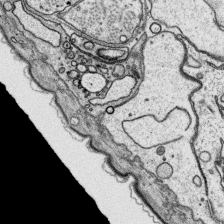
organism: Platynereis dumerilii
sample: Parapodia